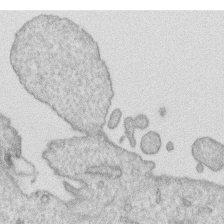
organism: Human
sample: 1205lu cells